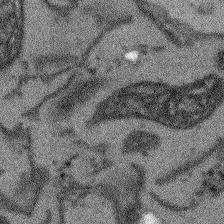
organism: Arabidopsis thaliana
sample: Root tip